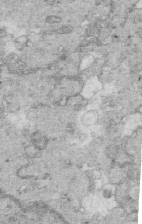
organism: Mouse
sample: Multiciliated cells